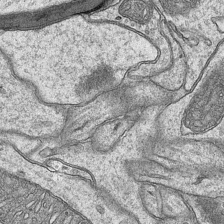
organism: Mouse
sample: CA1 Hippocampus